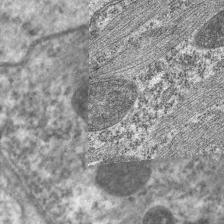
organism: C. elegans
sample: Pharynx